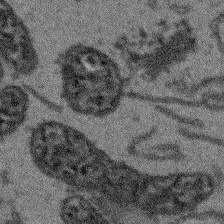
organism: Arabidopsis thaliana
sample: Root tip